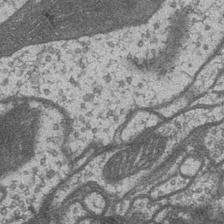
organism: Drosophila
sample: Optic medulla